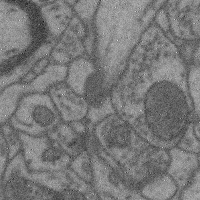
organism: Mouse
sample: Cerebral cortex